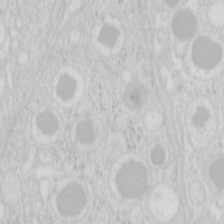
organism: Mouse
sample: Pancreas